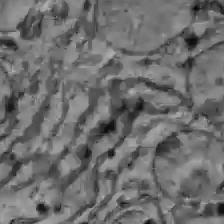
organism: C57BL Mouse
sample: Liver